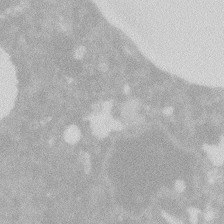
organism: Zebrafish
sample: Macrophage